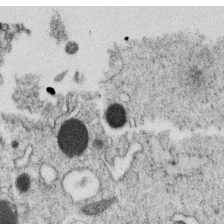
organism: C. elegans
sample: C. elegans oocyte; sperm cells